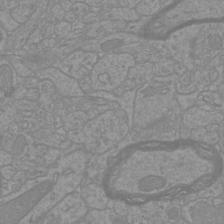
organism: Mouse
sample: Cortical neurons